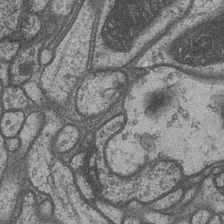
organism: Drosophila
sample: Optic medulla